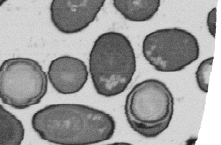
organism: B. subtilis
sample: Bacterial spore